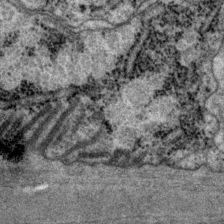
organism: P. pacificus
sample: Pharynx